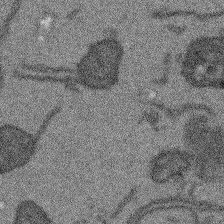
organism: Arabidopsis thaliana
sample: Root tip